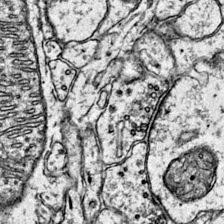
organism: Mouse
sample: Primary visual cortex